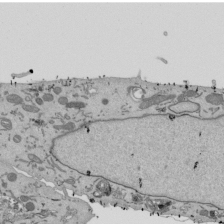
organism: Mouse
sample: ED-1 cell nuclei; centrioles